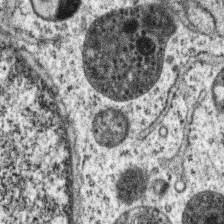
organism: Human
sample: HeLa cells